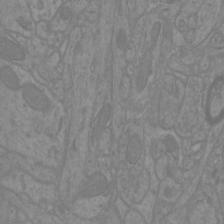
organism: Mouse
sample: Cortical neurons